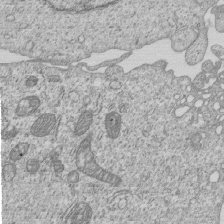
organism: Human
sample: MDA-MB-231 cells